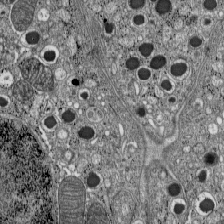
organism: C57BL Mouse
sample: Pancreatic islet